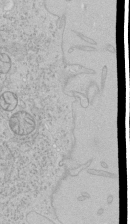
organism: Human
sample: Mitochondria in HCT116 cells